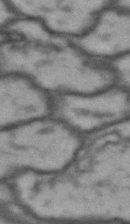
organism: Drosophila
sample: Brain